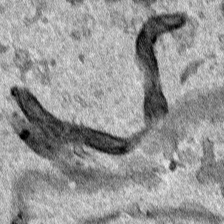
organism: Human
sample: Mitochondria in HCT116 cells